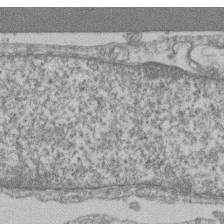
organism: Mouse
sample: T cell stromal cell synapse